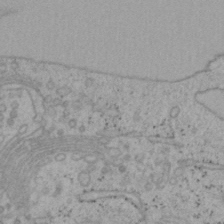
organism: Human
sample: HeLa cells